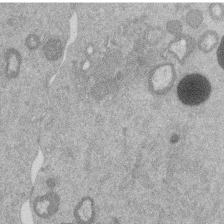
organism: Mouse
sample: Dividing mouse embryo 1 cell stage